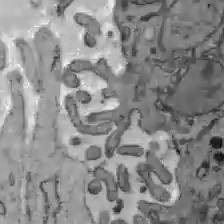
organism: C57BL Mouse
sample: Liver